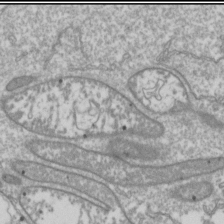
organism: Drosophila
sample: Cell division; meiosis; drosophila spermatocytes